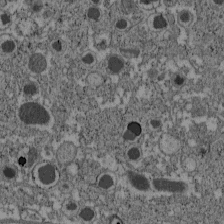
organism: C57BL Mouse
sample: Pancreatic islet